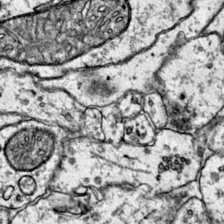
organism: Mouse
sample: Primary visual cortex